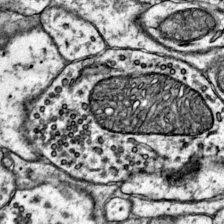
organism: Mouse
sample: Primary visual cortex